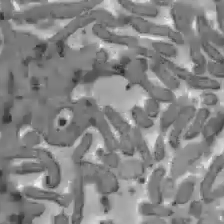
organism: C57BL Mouse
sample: Liver